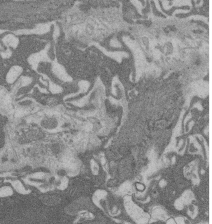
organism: Rat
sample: Salivary granule